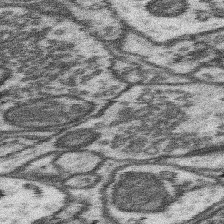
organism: Mouse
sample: Somatosensory cortex neuropil